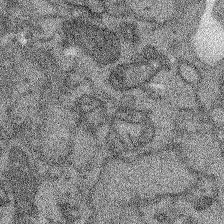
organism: Human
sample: HeLa cells